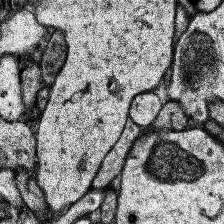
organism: Human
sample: Temporal Lobe